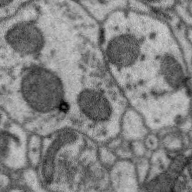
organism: Zebra finch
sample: Brain